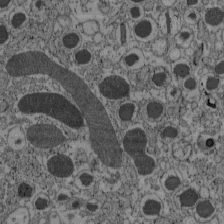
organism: C57BL Mouse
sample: Pancreatic islet